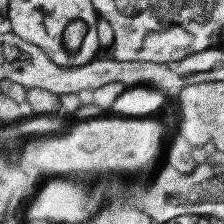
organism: Human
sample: Temporal Lobe